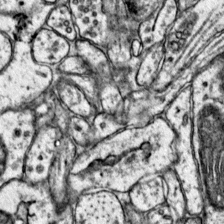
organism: Mouse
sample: Primary visual cortex